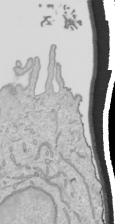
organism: Human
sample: Mitochondria in HCT116 cells